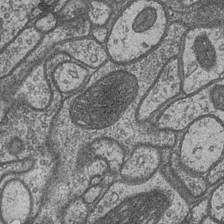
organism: Drosophila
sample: Optic medulla